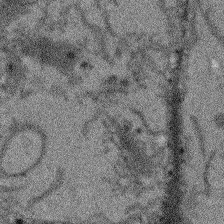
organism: Arabidopsis thaliana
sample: Root tip